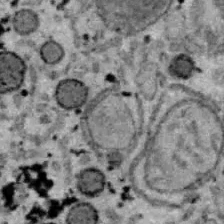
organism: Mouse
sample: Liver from an obese (ob/ob) mouse